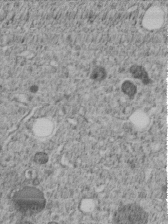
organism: C. elegans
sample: C. elegans embryo early stage